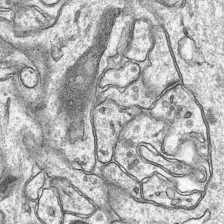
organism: Mouse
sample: CA1 Hippocampus